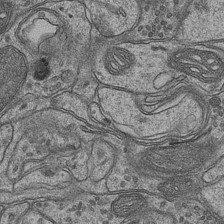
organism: Mouse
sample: CA1 Hippocampus